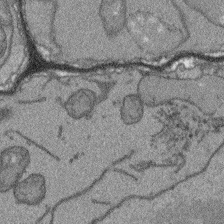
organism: Arabidopsis thaliana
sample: Root tip